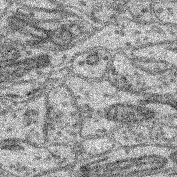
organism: Mouse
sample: Retina